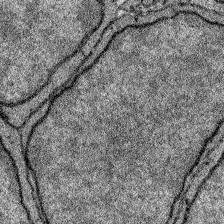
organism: Zebrafish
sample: Larval olfactory bulb